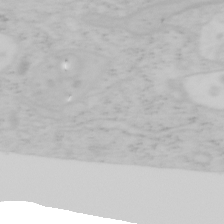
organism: Mouse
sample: OT-I killer T cells with ID8 ovarian cancer cells